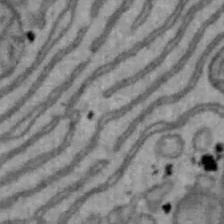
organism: Mouse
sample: Liver